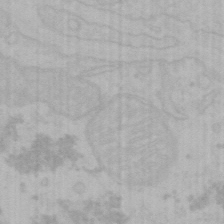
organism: Mouse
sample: Choroid plexus